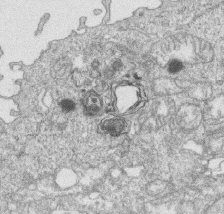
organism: Human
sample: HeLa cell HIV synapse